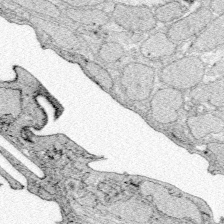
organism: Zebrafish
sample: Whole-Brain